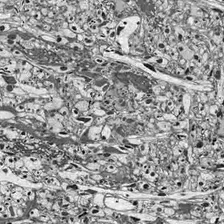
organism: Drosophila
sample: Optic lobe